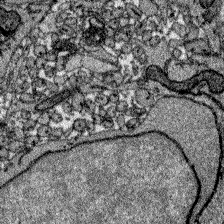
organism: Zebrafish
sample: Larval olfactory bulb